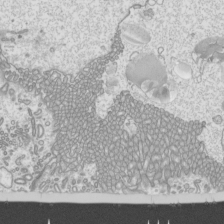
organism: Mouse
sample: Cilia; mouse epididymis